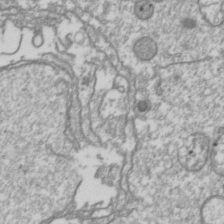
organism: Drosophila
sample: Cell division; meiosis; drosophila spermatocytes